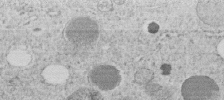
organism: C. elegans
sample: C. elegans embryo early stage